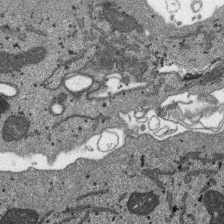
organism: Human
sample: Lung epithelial cells infected with SARS-CoV-2